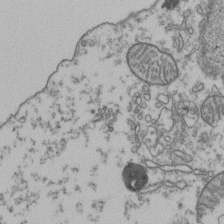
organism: Human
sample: Activated Jurkat CD4+ T cells